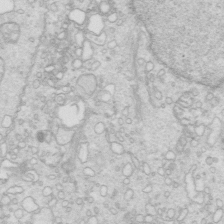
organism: Mouse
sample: Multiciliated cells